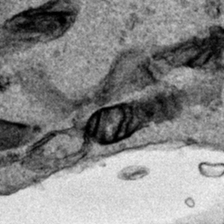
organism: Human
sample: Mitochondria in HCT116 cells